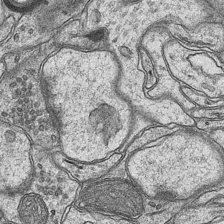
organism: Mouse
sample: CA1 Hippocampus